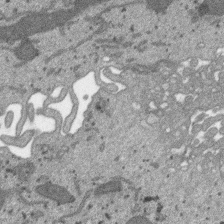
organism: Human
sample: Lung epithelial cells infected with SARS-CoV-2